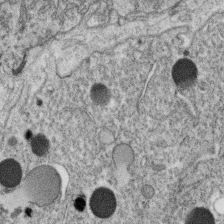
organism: C. elegans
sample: C. elegans oocyte; sperm cells